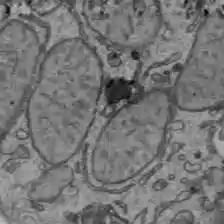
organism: C57BL Mouse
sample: Liver